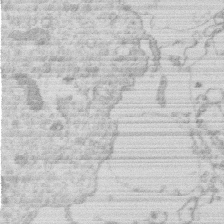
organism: Human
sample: Macrophage cells